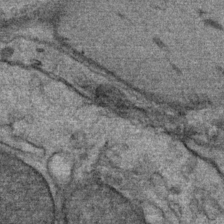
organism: Mouse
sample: Mouse Salivary gland